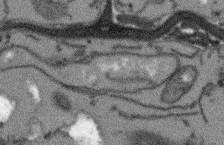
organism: Arabidopsis thaliana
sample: Root tip